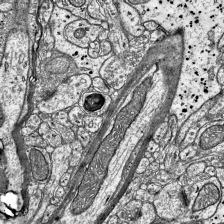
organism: Mouse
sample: Visual Cortex